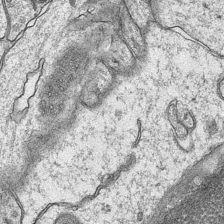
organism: Mouse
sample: CA1 Hippocampus